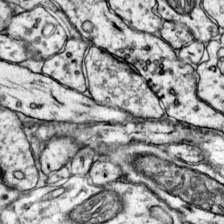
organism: Mouse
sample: Primary visual cortex